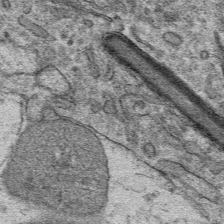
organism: Mouse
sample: Mouse hepatocytes